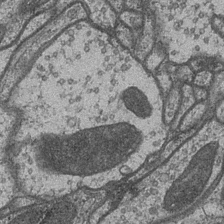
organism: Drosophila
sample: Optic medulla